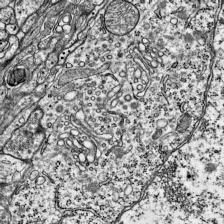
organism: Mouse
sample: Visual Cortex